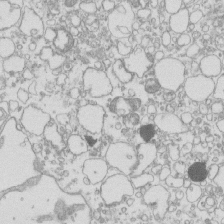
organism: Mouse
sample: Macrophages